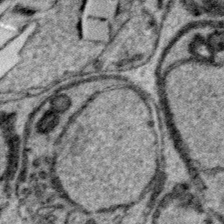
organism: Plasmodium falciparum